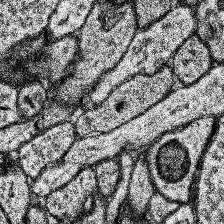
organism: Human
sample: Temporal Lobe